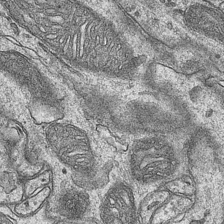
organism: Mouse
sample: CA1 Hippocampus